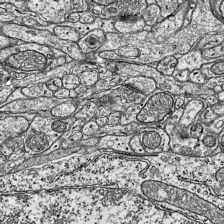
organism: Mouse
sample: Visual Cortex